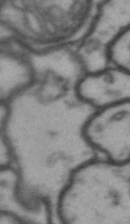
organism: Drosophila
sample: Brain